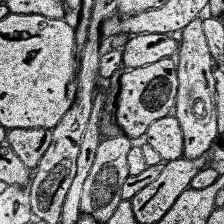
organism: Human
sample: Temporal Lobe